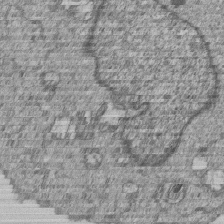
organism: Human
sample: MDA-MB-231 cells